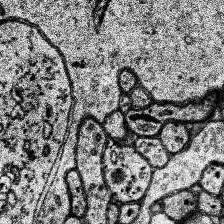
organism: Human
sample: Temporal Lobe